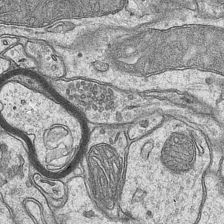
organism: Mouse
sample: CA1 Hippocampus